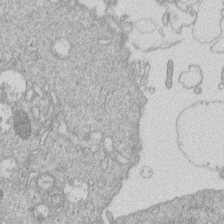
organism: Human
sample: Macrophage cells